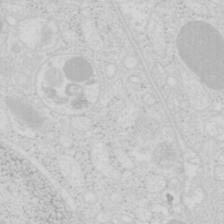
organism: Mouse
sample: Pancreas